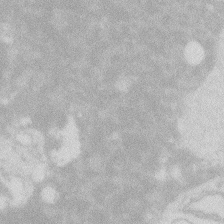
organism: Zebrafish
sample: Macrophage